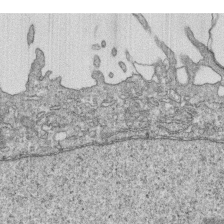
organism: Human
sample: HeLa cell HIV synapse